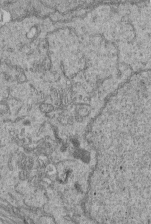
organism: Human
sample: Retinal organoid Rod and Cone cells